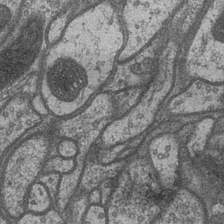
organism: Drosophila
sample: Optic medulla